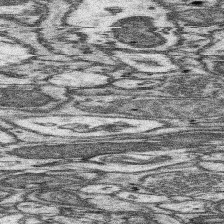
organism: Mouse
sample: Somatosensory cortex neuropil